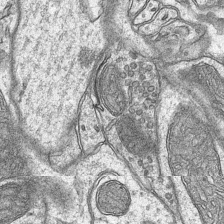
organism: Mouse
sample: CA1 Hippocampus